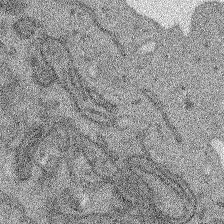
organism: Human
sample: HeLa cells